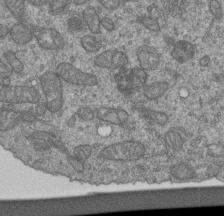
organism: Human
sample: Retinal organoid Rod and Cone cells